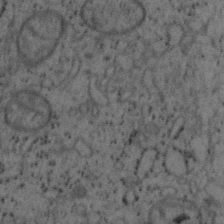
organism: Human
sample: HeLa cells